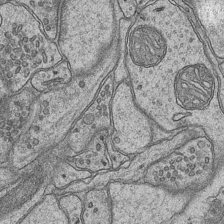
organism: Mouse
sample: CA1 Hippocampus